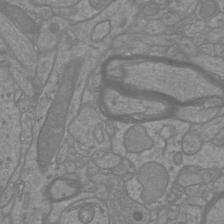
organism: Mouse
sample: Cortical neurons